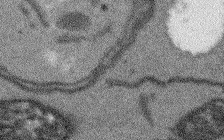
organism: Arabidopsis thaliana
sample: Root tip